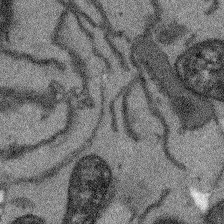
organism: Arabidopsis thaliana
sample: Root tip